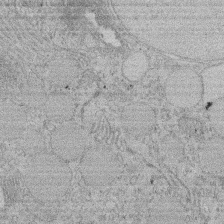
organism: Rat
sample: Salivary granule